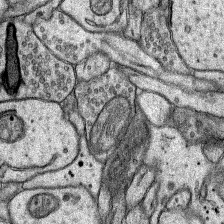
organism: Rat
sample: Hippocampus